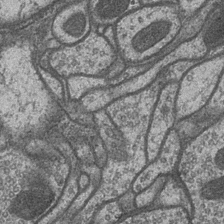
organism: Drosophila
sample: Optic medulla